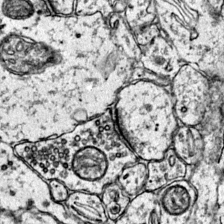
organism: Mouse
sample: Primary visual cortex